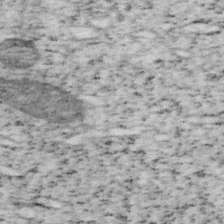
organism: Mouse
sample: OT-I killer T cells with ID8 ovarian cancer cells